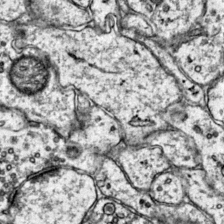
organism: Mouse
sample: Primary visual cortex